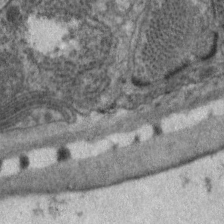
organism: C. elegans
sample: Pharynx